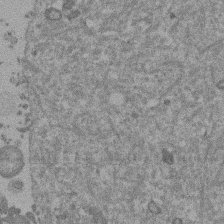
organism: Mouse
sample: Dividing mouse embryo 1 cell stage